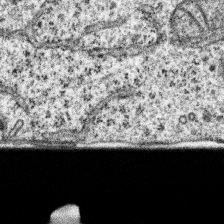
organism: Human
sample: HeLa cells